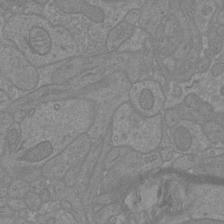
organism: Mouse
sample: Cortical neurons